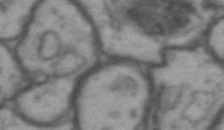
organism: Drosophila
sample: Brain